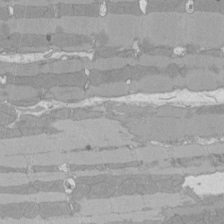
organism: Rat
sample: Left ventricle